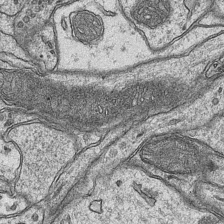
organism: Mouse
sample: CA1 Hippocampus